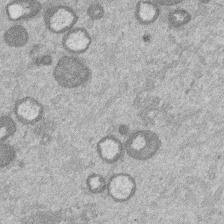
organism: Mouse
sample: Dividing mouse embryo 1 cell stage